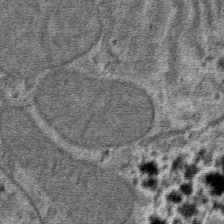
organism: Mouse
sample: Mouse hepatocytes